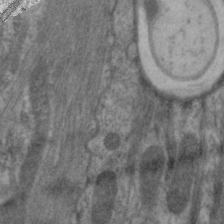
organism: C. elegans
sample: Pharynx